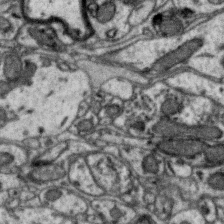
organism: Zebra finch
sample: Brain